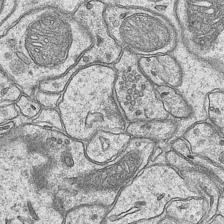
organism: Mouse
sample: CA1 Hippocampus